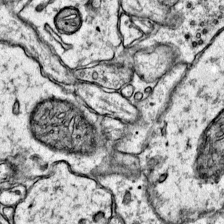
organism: Mouse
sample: Primary visual cortex